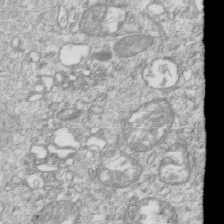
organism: Mouse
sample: Activated OT-1 CD8+ T cells